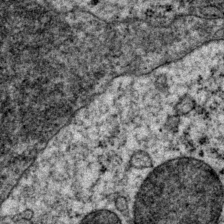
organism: P. pacificus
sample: Pharynx